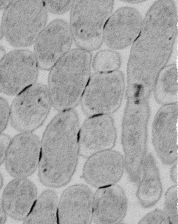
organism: E. coli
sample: Bacterial nucleoid